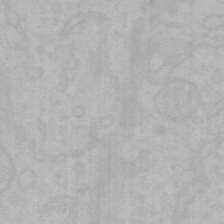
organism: Mouse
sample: Choroid plexus